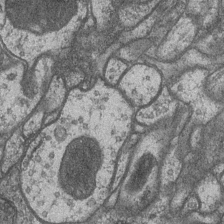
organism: Drosophila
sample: Optic medulla